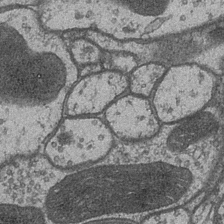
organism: Drosophila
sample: Optic medulla